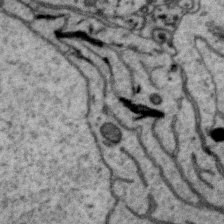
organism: Zebra finch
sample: Brain